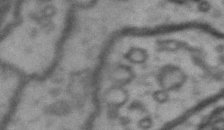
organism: Drosophila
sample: Brain